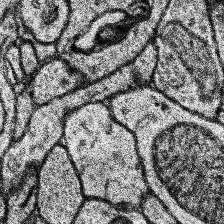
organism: Human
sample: Temporal Lobe